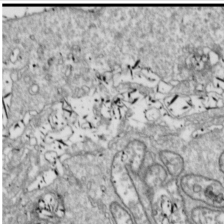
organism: Drosophila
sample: Cell division; meiosis; drosophila spermatocytes